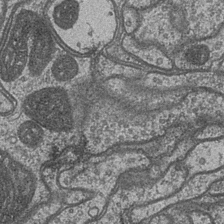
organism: Drosophila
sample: Optic medulla